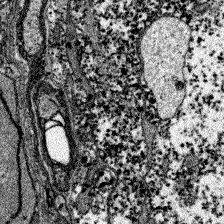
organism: Zebrafish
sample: Larval olfactory bulb